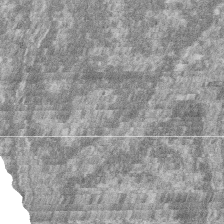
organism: Zebrafish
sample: Cilia; retinal pigment epithelium